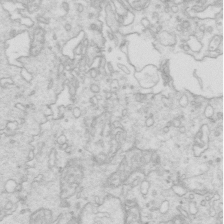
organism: Mouse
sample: Multiciliated cells